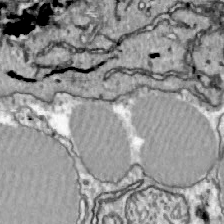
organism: Zebrafish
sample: Actinotrichia fibers